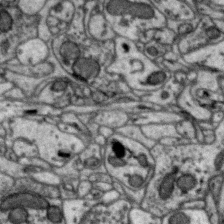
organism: Zebra finch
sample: Brain